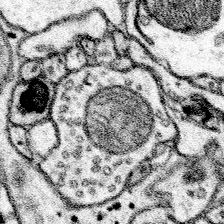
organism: Mouse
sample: Somatosensory cortex neuropil